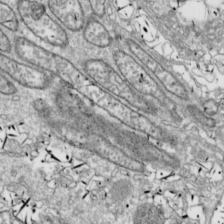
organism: Drosophila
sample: Cell division; meiosis; drosophila spermatocytes